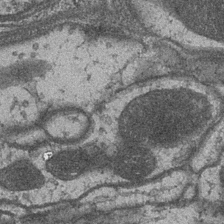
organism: Drosophila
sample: Optic medulla